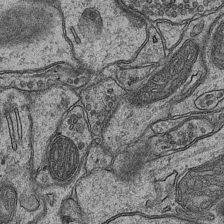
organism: Mouse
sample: CA1 Hippocampus